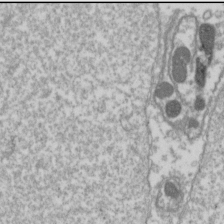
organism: Drosophila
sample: Cell division; meiosis; drosophila spermatocytes